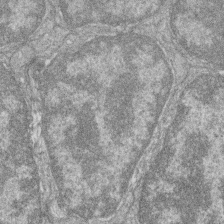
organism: Zebrafish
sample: Cilia; retinal pigment epithelium